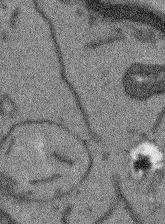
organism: Arabidopsis thaliana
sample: Root tip